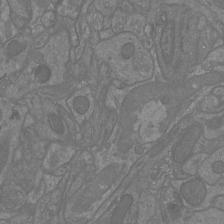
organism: Mouse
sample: Cortical neurons